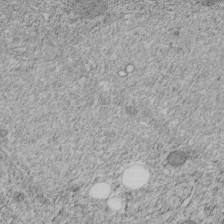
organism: C. elegans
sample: C. elegans embryo early stage